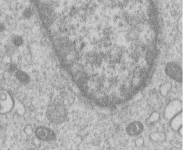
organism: Human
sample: Macrophage cells